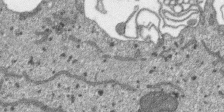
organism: Human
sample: Lung epithelial cells infected with SARS-CoV-2